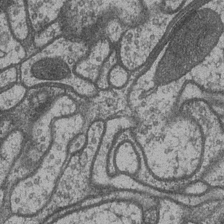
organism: Drosophila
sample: Optic medulla